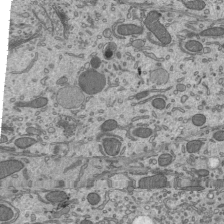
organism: Mouse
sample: Mouse epididymis efferent ductule cilia